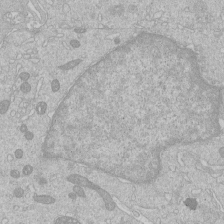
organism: Human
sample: Macrophage cells